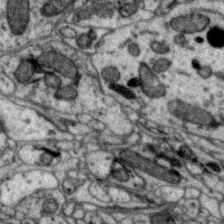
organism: Zebra finch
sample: Brain